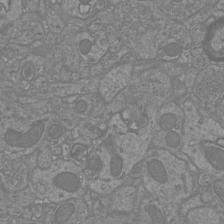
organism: Mouse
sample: Cortical neurons